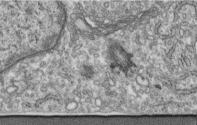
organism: Human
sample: Centriole in fibroblast cells